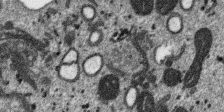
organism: Human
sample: Lung epithelial cells infected with SARS-CoV-2